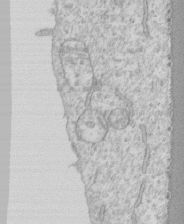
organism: Human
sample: CRL-1474